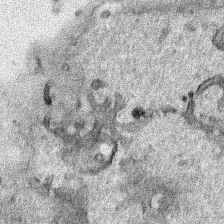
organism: Human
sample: Mitochondria in HCT116 cells